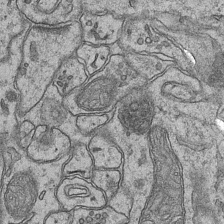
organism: Mouse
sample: CA1 Hippocampus